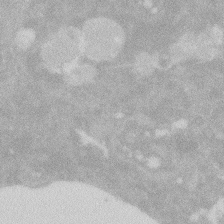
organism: Zebrafish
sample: Macrophage